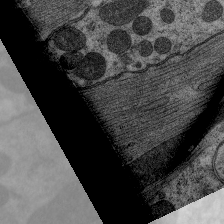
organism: C. elegans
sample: Pharynx